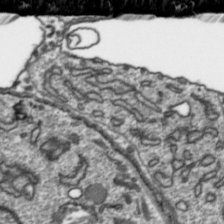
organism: Toxoplasma gondii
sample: Parasites in a vacuole inside a host cell